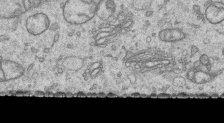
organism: Human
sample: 1205lu cells